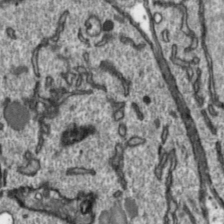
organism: Toxoplasma gondii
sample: Parasites in a vacuole inside a host cell